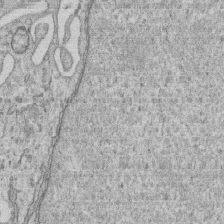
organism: Human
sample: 1205lu cells